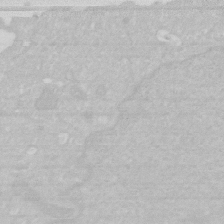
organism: Human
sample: HIV infected U937 cells